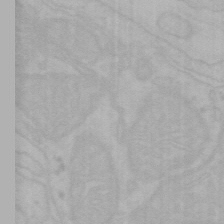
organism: Mouse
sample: Choroid plexus